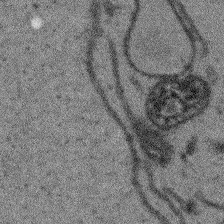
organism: Arabidopsis thaliana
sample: Root tip